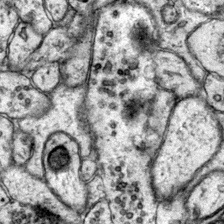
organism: Mouse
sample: Primary visual cortex